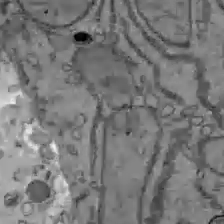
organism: C57BL Mouse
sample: Liver